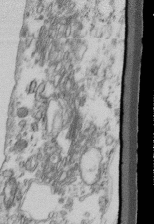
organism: Mouse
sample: Cilia; retinal pigment epithelium